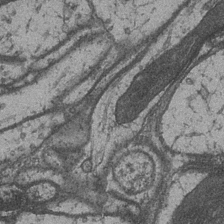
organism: Drosophila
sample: Optic medulla